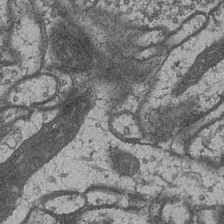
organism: Drosophila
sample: Optic medulla